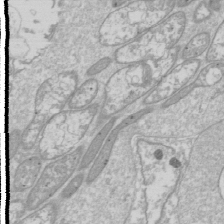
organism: Drosophila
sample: Cell division; meiosis; drosophila spermatocytes